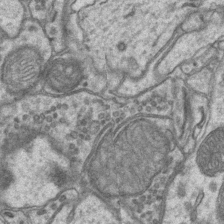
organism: Mouse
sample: CA1 Hippocampus